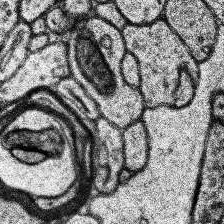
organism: Human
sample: Temporal Lobe